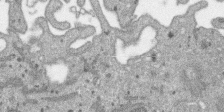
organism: Human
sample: Lung epithelial cells infected with SARS-CoV-2